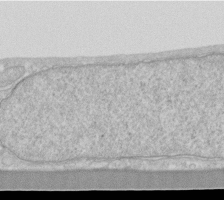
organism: Human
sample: Fibroblast cells